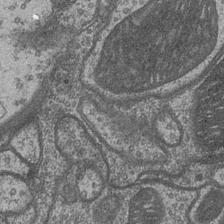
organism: Drosophila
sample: Optic medulla